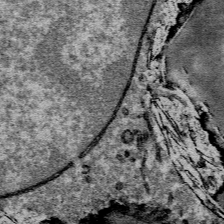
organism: Mouse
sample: Mouse Salivary gland